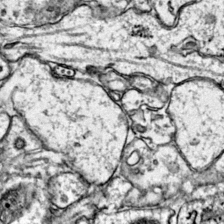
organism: Mouse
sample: Primary visual cortex